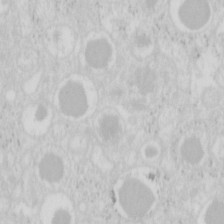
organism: Mouse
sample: Pancreas